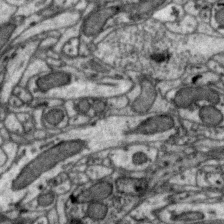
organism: Zebra finch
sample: Brain